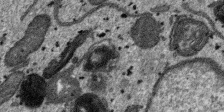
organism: Human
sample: Lung epithelial cells, uninfected (mock) control